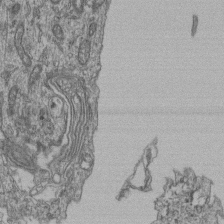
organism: Human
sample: Retinal organoid Rod and Cone cells